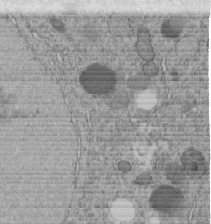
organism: C. elegans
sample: C. elegans embryo early stage